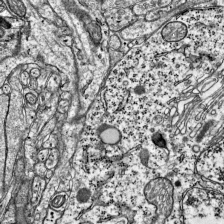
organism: Mouse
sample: Visual Cortex